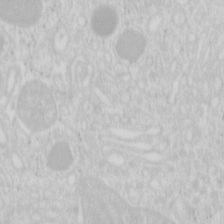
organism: Mouse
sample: Pancreas